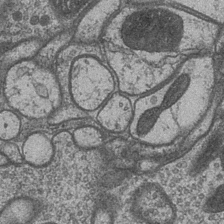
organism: Drosophila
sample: Optic medulla